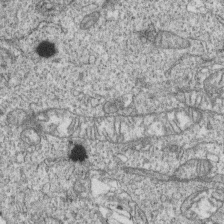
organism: Human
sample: HeLa cell HIV synapse